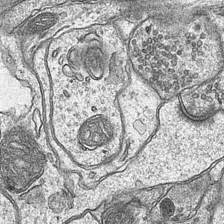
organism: Mouse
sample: CA1 Hippocampus